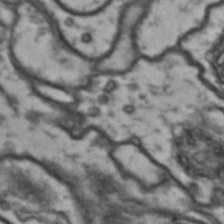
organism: Drosophila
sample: Brain